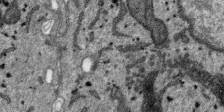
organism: Human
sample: Lung epithelial cells, uninfected (mock) control